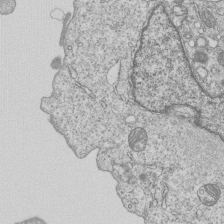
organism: Human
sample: MDA-MB-231 cells